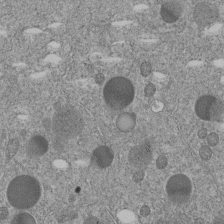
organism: C. elegans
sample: C. elegans embryo early stage